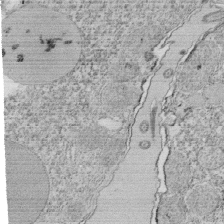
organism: Tetrahymena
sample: Cilia in tetrahymena